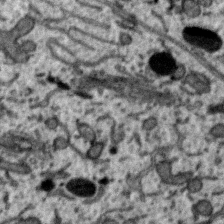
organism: Zebra finch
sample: Brain